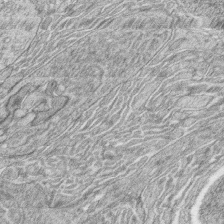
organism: Zebrafish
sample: synaptic ribbons in rod cells and cone cells